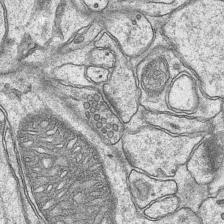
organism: Mouse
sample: CA1 Hippocampus